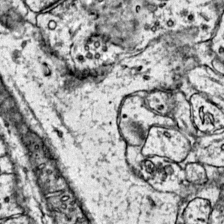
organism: Mouse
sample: Primary visual cortex